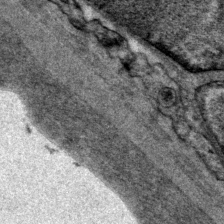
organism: P. pacificus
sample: Pharynx